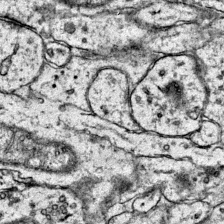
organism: Mouse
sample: Primary visual cortex